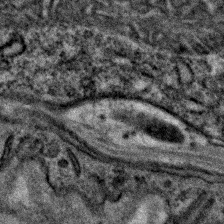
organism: C. elegans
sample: C. elegans embryo